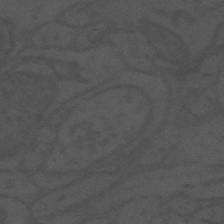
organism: Mouse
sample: Suprachiasmatic nucleus